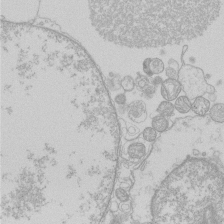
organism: Human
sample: Macrophage cells